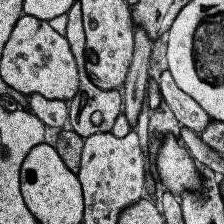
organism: Human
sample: Temporal Lobe